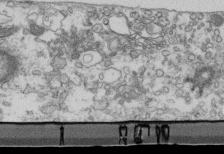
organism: Mouse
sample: Cilia; retinal pigment epithelium